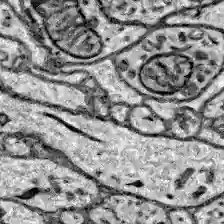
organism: Zebrafish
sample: Brain